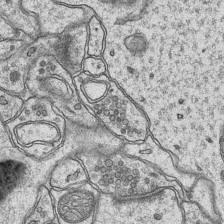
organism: Mouse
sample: CA1 Hippocampus